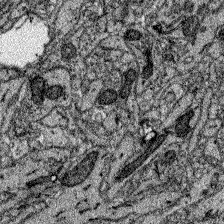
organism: Zebrafish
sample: Larval olfactory bulb